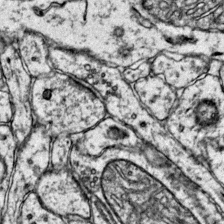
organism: Mouse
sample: Primary visual cortex